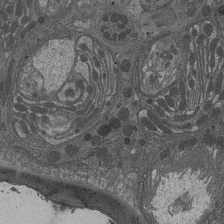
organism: Drosophila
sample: Antenna